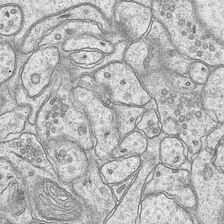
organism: Mouse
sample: CA1 Hippocampus